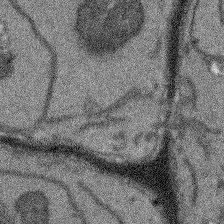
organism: Arabidopsis thaliana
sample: Root tip